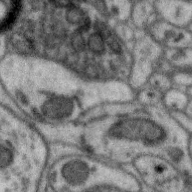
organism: Zebra finch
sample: Brain